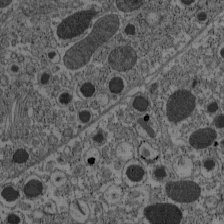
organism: C57BL Mouse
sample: Pancreatic islet